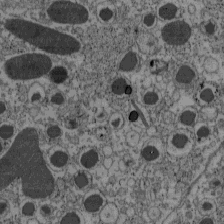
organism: C57BL Mouse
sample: Pancreatic islet